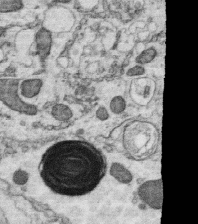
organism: C. elegans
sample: C. elegans oocyte; sperm cells